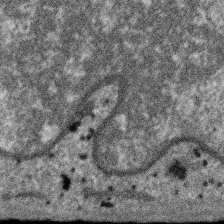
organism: Human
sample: Lung epithelial cells infected with SARS-CoV-2